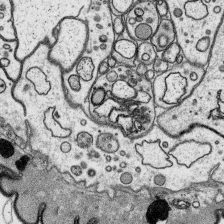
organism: Platynereis dumerilii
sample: Parapodia